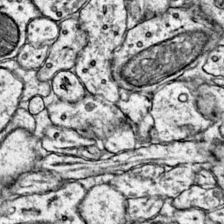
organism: Mouse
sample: Primary visual cortex